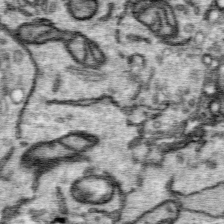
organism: Human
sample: HeLa cells